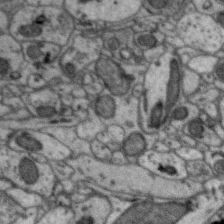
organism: Zebra finch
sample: Brain